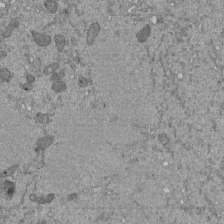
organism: Mouse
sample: ED-1 cell nuclei; centrioles